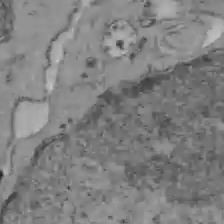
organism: C57BL Mouse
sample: Liver